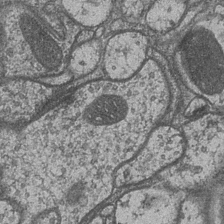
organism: Drosophila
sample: Optic medulla